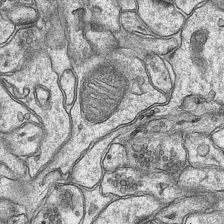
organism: Mouse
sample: CA1 Hippocampus